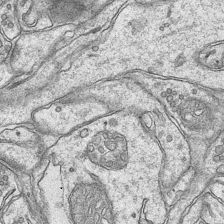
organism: Mouse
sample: CA1 Hippocampus